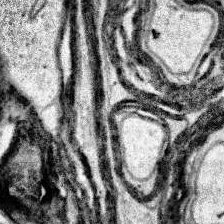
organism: Human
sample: Temporal Lobe